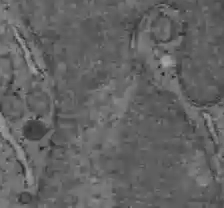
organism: C57BL Mouse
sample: Liver